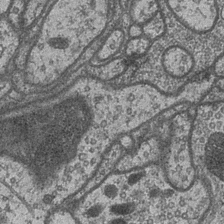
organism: Drosophila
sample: Optic medulla